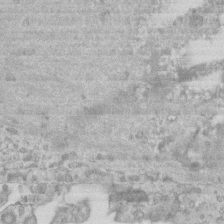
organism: Mouse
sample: Centriole in ependymal cells